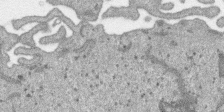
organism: Human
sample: Lung epithelial cells infected with SARS-CoV-2